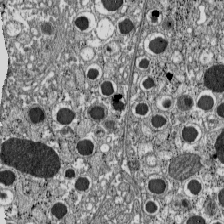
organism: C57BL Mouse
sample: Pancreatic islet